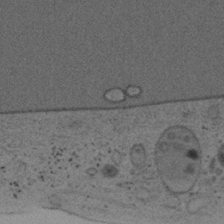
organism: Human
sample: HeLa cells